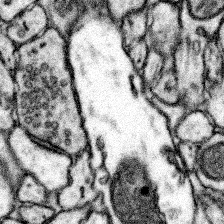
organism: Mouse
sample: Somatosensory cortex neuropil